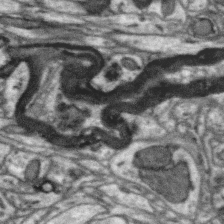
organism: Zebra finch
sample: Brain